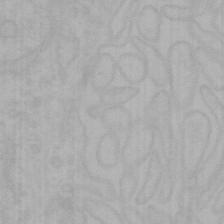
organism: Mouse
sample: Choroid plexus